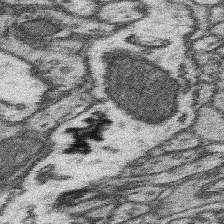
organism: Mouse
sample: Somatosensory cortex neuropil